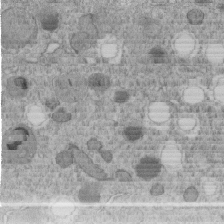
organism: C. elegans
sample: C. elegans embryo early stage